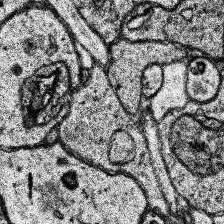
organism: Human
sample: Temporal Lobe